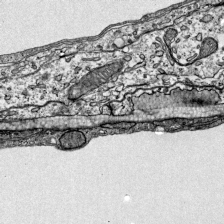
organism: Mouse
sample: Visual Cortex